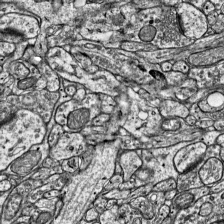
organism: Mouse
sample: Visual Cortex